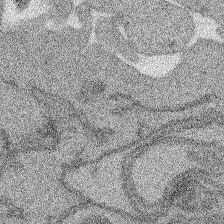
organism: Human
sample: HeLa cells